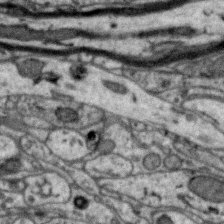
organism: Zebra finch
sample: Brain